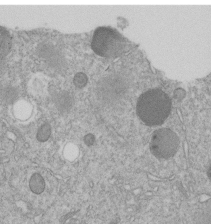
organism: C. elegans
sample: C. elegans embryo early stage